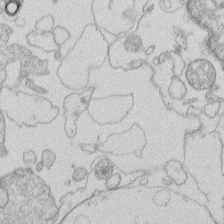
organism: Human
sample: Macrophage cells